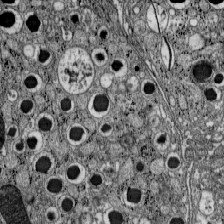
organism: C57BL Mouse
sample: Pancreatic islet